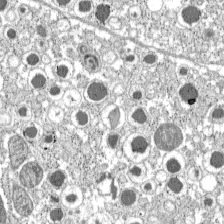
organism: C57BL Mouse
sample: Pancreatic islet